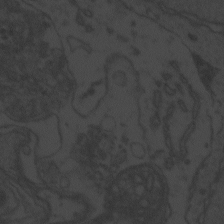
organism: Zebrafish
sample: Macrophage infected with Toxoplasma gondii